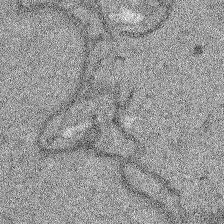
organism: Human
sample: HeLa cells